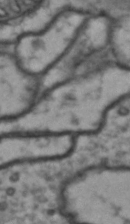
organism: Drosophila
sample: Brain